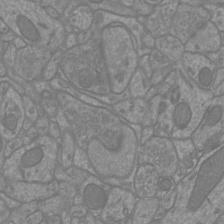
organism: Mouse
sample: Cortical neurons